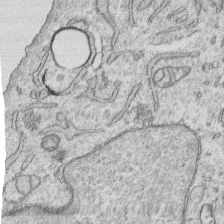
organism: Human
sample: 1205lu cells